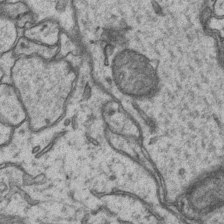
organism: Mouse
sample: CA1 Hippocampus